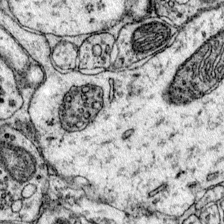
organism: Mouse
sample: Primary visual cortex